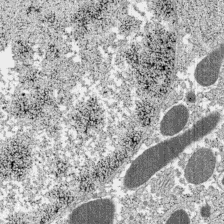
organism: C57BL Mouse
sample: Pancreatic islet